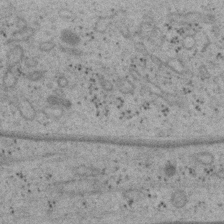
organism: Human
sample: HeLa cells